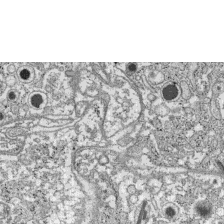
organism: C57BL Mouse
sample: Pancreatic islet